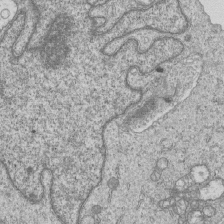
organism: Human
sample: MDA-MB-231 cells